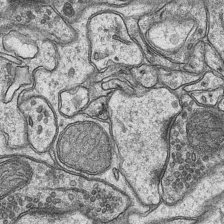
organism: Mouse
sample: CA1 Hippocampus